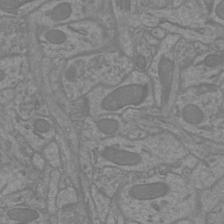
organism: Mouse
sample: Cortical neurons